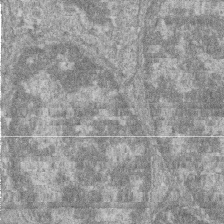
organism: Zebrafish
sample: Cilia; retinal pigment epithelium